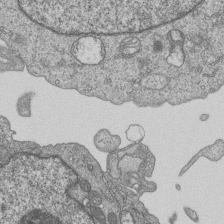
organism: Human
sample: MDA-MB-231 cells